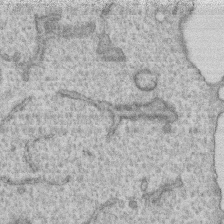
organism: Human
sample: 1205lu cells